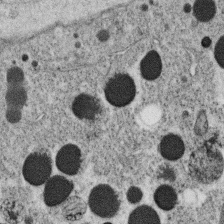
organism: C. elegans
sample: C. elegans oocyte; sperm cells